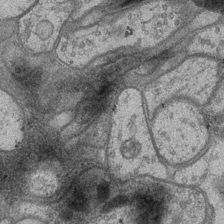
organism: Drosophila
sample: Optic medulla